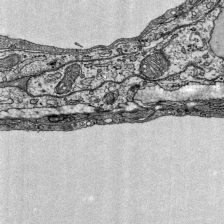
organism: Mouse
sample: Visual Cortex